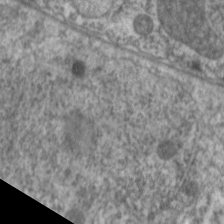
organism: C. elegans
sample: Pharynx